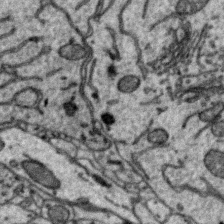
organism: Zebra finch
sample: Brain